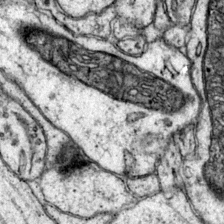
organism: Mouse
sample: Primary visual cortex